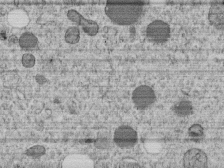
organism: C. elegans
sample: C. elegans embryo early stage